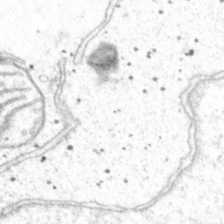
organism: Human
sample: HeLa cells